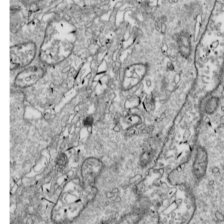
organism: Drosophila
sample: Cell division; meiosis; drosophila spermatocytes